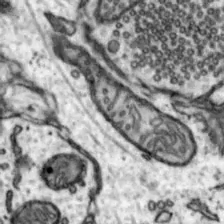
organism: Mouse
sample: Nucleus accumbens